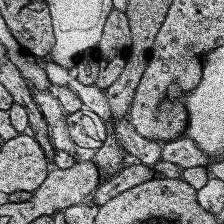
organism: Human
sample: Temporal Lobe